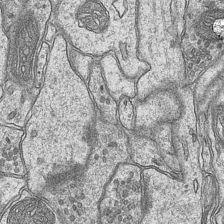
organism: Mouse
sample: CA1 Hippocampus